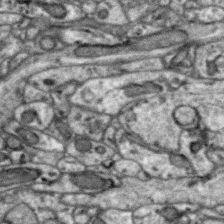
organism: Zebra finch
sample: Brain